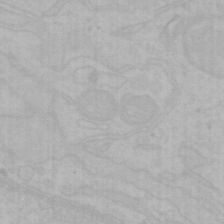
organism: Mouse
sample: Choroid plexus